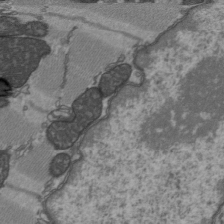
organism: C57BL Mouse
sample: Heart